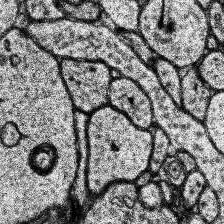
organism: Human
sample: Temporal Lobe